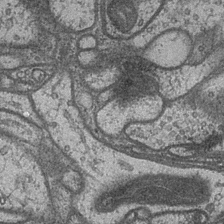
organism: Drosophila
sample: Optic medulla